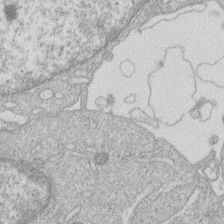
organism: Human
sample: Macrophage cells